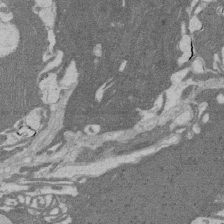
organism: Rat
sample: Salivary granule